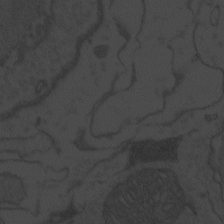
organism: Zebrafish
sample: Macrophage infected with Toxoplasma gondii